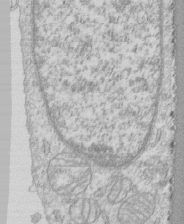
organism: Human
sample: CRL-1474